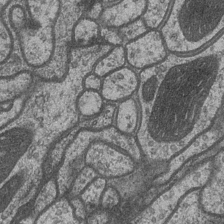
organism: Drosophila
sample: Optic medulla